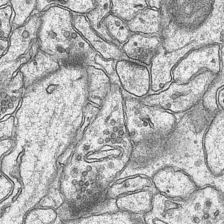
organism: Mouse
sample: CA1 Hippocampus